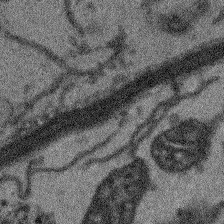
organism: Arabidopsis thaliana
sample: Root tip